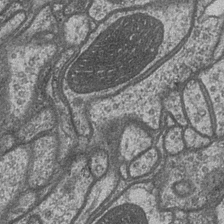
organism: Drosophila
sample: Optic medulla